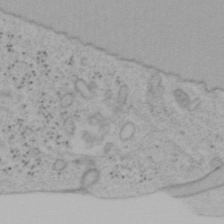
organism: Human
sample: HeLa cells